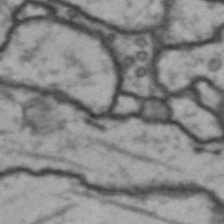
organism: Drosophila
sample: Brain